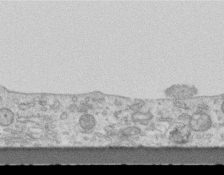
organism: Mouse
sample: Centriole in ependymal cells